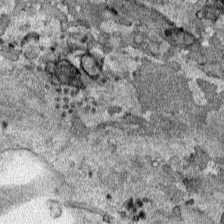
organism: Human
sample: Mitochondria in HCT116 cells